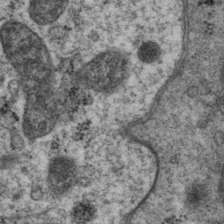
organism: P. pacificus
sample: Pharynx